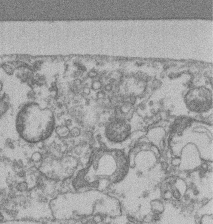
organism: Mouse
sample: T cell stromal cell synapse